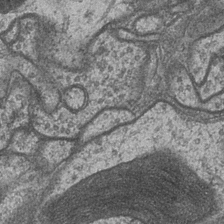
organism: Drosophila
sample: Optic medulla